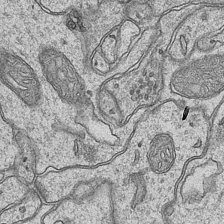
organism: Mouse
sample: CA1 Hippocampus